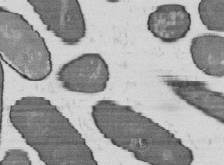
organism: B. subtilis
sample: Bacterial spore